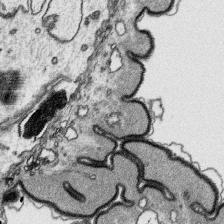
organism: Platynereis dumerilii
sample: Parapodia